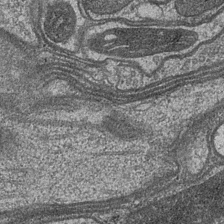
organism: Drosophila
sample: Optic medulla